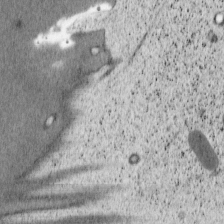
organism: African green monkey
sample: COS-7 cells